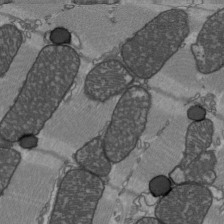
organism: C57BL Mouse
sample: Heart